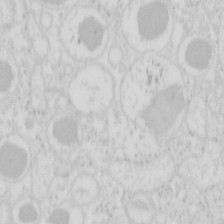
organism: Mouse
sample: Pancreas